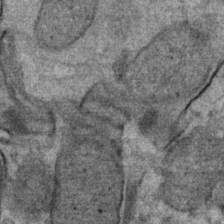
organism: Mouse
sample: Mouse Salivary gland